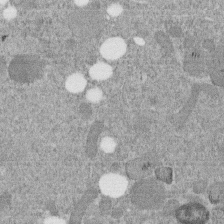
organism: C. elegans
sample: C. elegans embryo early stage